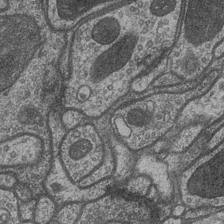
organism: Drosophila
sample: Optic medulla